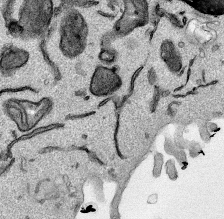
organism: Mouse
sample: Cancer cell death in ED-1 cells